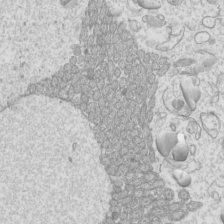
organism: Mouse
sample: Cilia; mouse epididymis